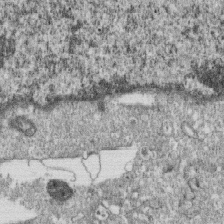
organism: African green monkey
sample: Vero E6 cells infected with SARS-CoV-2